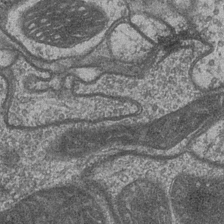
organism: Drosophila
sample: Optic medulla